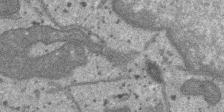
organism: Human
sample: Lung epithelial cells infected with SARS-CoV-2